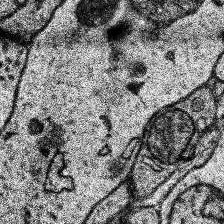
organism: Human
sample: Temporal Lobe